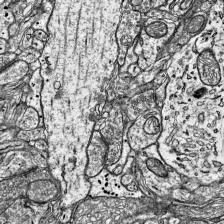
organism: Mouse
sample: Visual Cortex